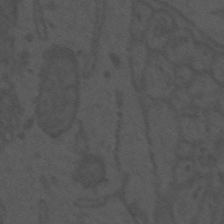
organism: Mouse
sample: Suprachiasmatic nucleus